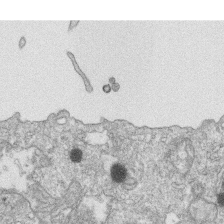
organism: Human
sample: HeLa cell HIV synapse